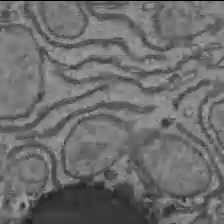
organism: C57BL Mouse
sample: Liver